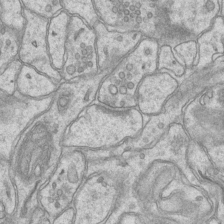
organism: Mouse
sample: CA1 Hippocampus